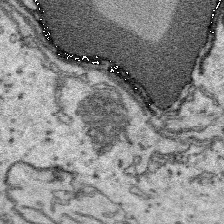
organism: Platynereis dumerilii